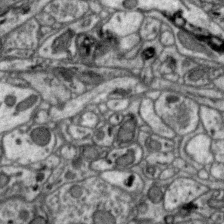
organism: Zebra finch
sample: Brain